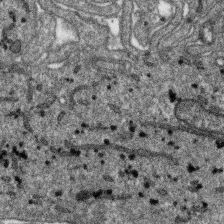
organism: Human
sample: Lung epithelial cells infected with SARS-CoV-2